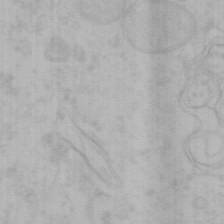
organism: Mouse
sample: Choroid plexus